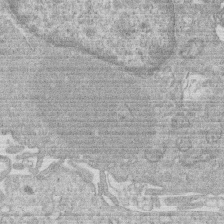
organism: Human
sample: Macrophage cells